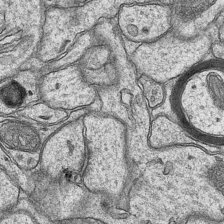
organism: Mouse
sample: CA1 Hippocampus